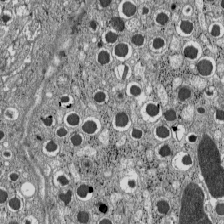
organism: C57BL Mouse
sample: Pancreatic islet